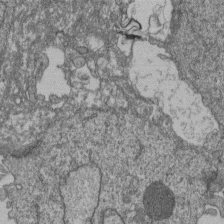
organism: Human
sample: Retinal organoid Rod and Cone cells